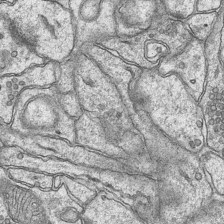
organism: Mouse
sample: CA1 Hippocampus